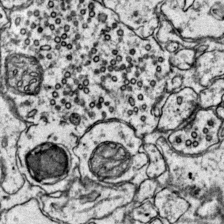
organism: Mouse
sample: Primary visual cortex